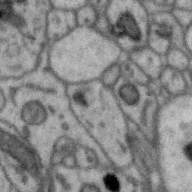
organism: Zebra finch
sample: Brain